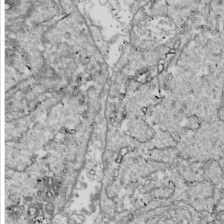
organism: Drosophila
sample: Cell division; meiosis; drosophila spermatocytes